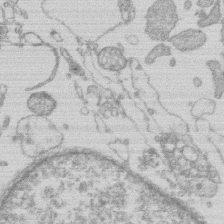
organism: Human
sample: Macrophage cells